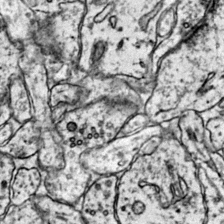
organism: Mouse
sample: Primary visual cortex